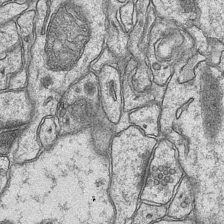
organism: Mouse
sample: CA1 Hippocampus